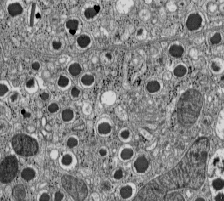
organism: C57BL Mouse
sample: Pancreatic islet